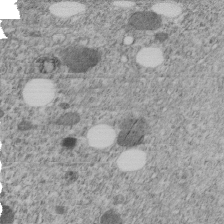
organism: C. elegans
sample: C. elegans embryo early stage